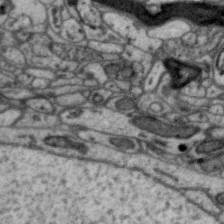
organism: Zebra finch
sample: Brain